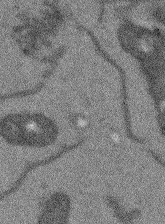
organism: Arabidopsis thaliana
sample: Root tip